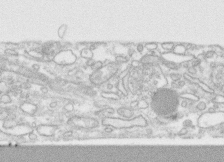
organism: Human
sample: CRL-1474